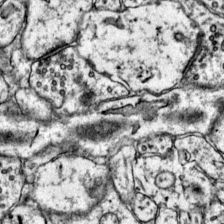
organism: Mouse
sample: Primary visual cortex